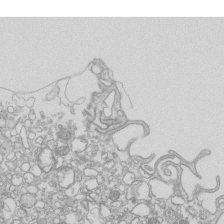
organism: Mouse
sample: Macrophages